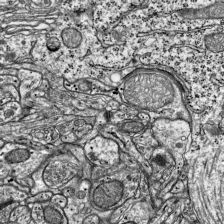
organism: Mouse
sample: Visual Cortex